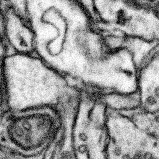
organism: Mouse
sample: Somatosensory cortex neuropil